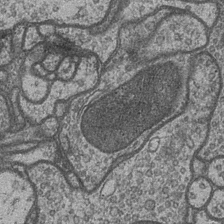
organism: Drosophila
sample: Optic medulla